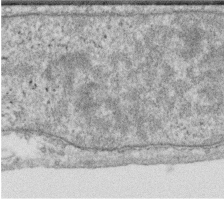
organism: Human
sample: Centriole in RPE cells